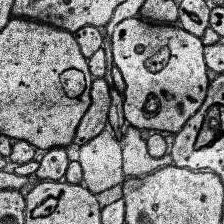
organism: Human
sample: Temporal Lobe